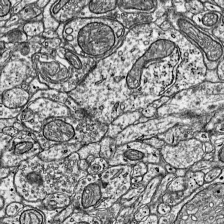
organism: Mouse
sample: Visual Cortex